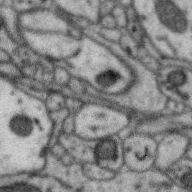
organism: Zebra finch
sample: Brain